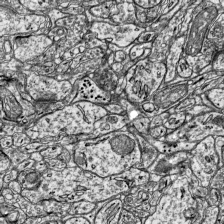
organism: Mouse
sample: Visual Cortex